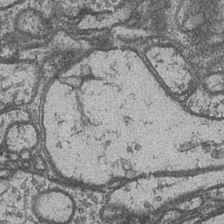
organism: Drosophila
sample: Optic medulla